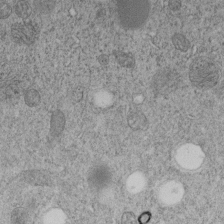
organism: C. elegans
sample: C. elegans embryo early stage